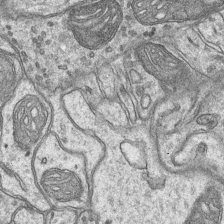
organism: Mouse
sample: CA1 Hippocampus